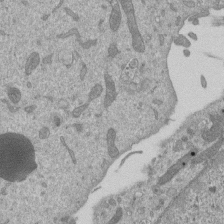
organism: Mouse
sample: ED-1 cell nuclei; centrioles